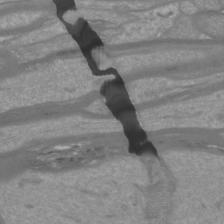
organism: Mouse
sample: Cortical neurons